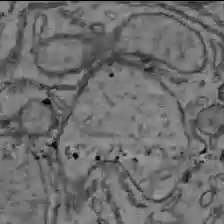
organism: C57BL Mouse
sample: Liver